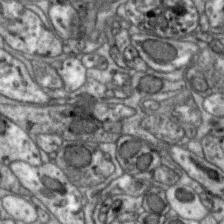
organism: Zebra finch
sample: Brain